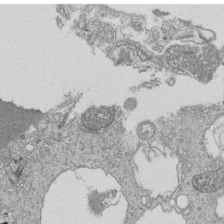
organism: Tetrahymena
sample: Cilia in tetrahymena